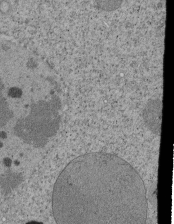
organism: Tetrahymena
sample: Cilia in tetrahymena